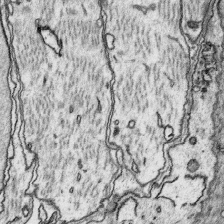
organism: Platynereis dumerilii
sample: Parapodia